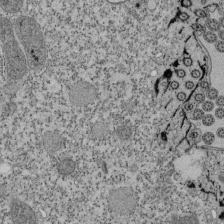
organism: Tetrahymena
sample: Cilia in tetrahymena